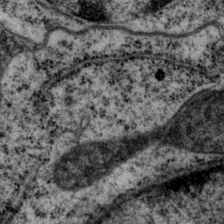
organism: P. pacificus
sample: Pharynx